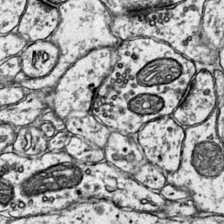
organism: Mouse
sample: Primary visual cortex